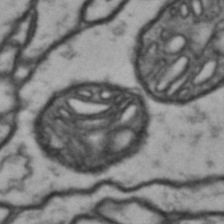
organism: Drosophila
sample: Brain